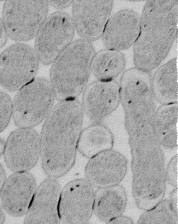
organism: E. coli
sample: Bacterial nucleoid